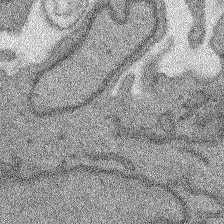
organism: Human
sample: HeLa cells